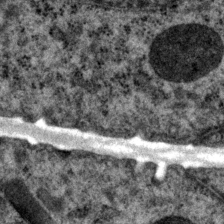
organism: P. pacificus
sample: Pharynx